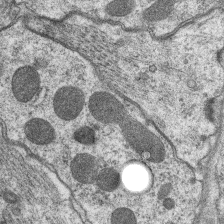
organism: C. elegans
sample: Pharynx